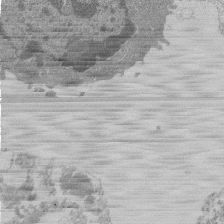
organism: Mouse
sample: Activated Pmel transgenic CD8+ T Cells